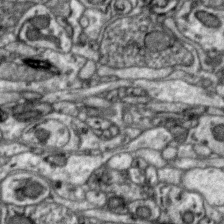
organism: Zebra finch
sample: Brain